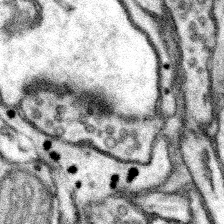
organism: Mouse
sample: Somatosensory cortex neuropil